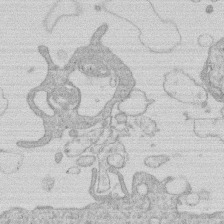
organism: Human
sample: Macrophage cells